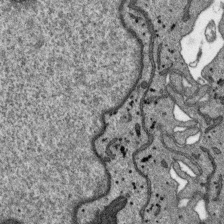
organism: Human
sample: Lung epithelial cells, uninfected (mock) control